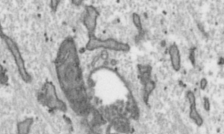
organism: Toxoplasma gondii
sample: Parasites in a vacuole inside a host cell